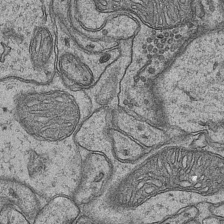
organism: Mouse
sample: CA1 Hippocampus